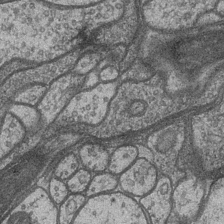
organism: Drosophila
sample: Optic medulla